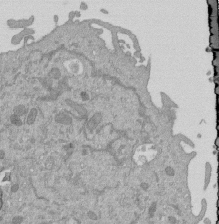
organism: Mouse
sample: ED-1 cell nuclei; centrioles